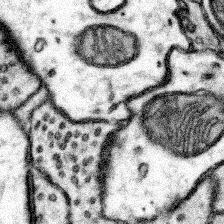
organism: Mouse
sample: Somatosensory cortex neuropil